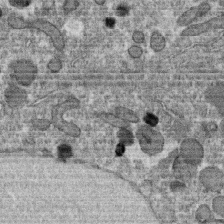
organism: C. elegans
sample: C. elegans oocyte; sperm cells